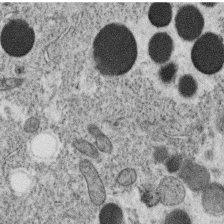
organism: C. elegans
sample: C. elegans oocyte; sperm cells